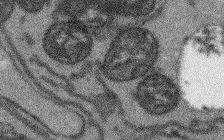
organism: Arabidopsis thaliana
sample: Root tip